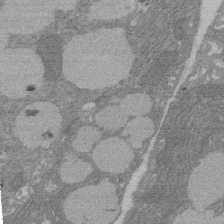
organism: Rat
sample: Salivary granule